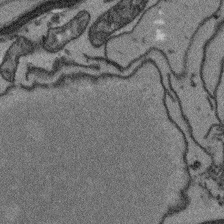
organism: Arabidopsis thaliana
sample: Root tip